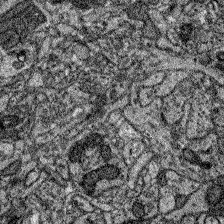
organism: Zebrafish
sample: Larval olfactory bulb